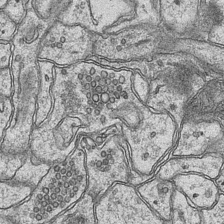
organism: Mouse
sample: CA1 Hippocampus